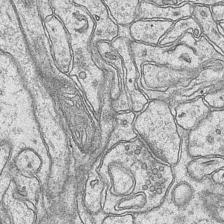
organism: Mouse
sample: CA1 Hippocampus